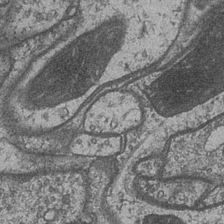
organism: Drosophila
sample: Optic medulla